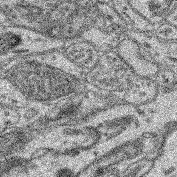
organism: Mouse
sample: Retina